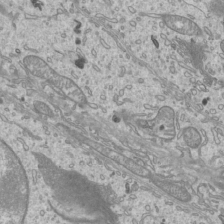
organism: Mouse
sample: Cilia; mouse epididymis